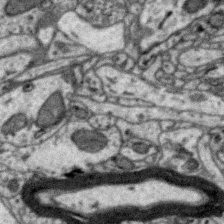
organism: Zebra finch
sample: Brain